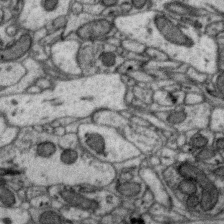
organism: Zebra finch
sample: Brain